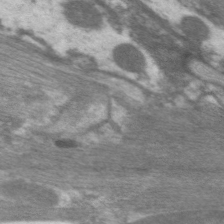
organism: C. elegans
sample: Pharynx